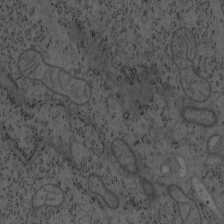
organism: Mouse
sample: OT-I killer T cells with ID8 ovarian cancer cells